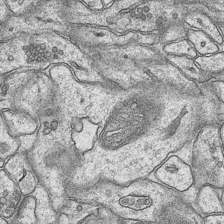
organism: Mouse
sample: CA1 Hippocampus